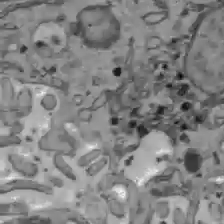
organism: C57BL Mouse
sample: Liver